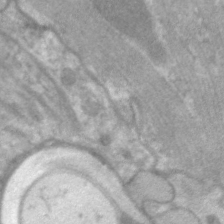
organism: C. elegans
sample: Pharynx